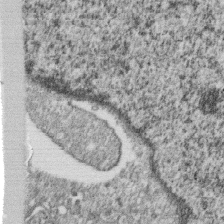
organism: African green monkey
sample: Vero E6 cells infected with SARS-CoV-2